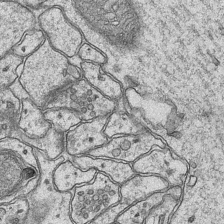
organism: Mouse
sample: CA1 Hippocampus